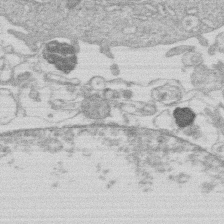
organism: Human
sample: Macrophage cells